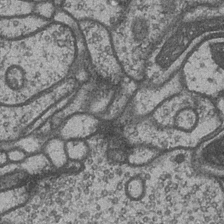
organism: Drosophila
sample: Optic medulla